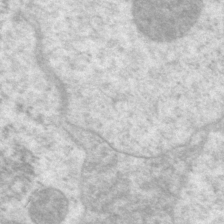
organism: P. pacificus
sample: Pharynx